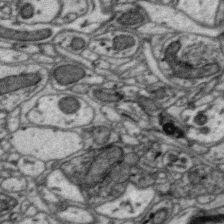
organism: Zebra finch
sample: Brain